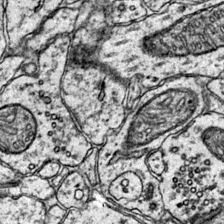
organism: Mouse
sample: Primary visual cortex